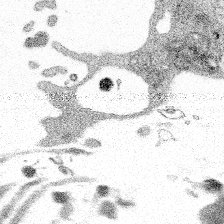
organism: Spongilla lacustris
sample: Multiple